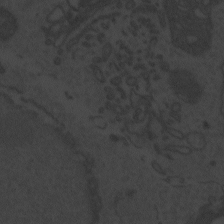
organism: Zebrafish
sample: Macrophage infected with Toxoplasma gondii